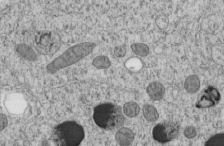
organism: C. elegans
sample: C. elegans embryo early stage